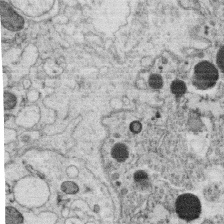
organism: C. elegans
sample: C. elegans oocyte; sperm cells